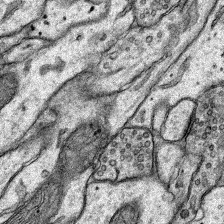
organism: Rat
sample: Hippocampus